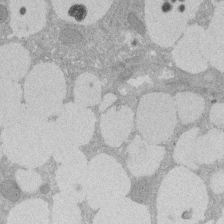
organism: Rat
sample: Salivary granule